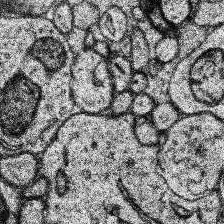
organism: Human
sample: Temporal Lobe